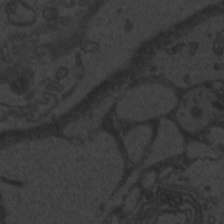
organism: Zebrafish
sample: Macrophage infected with Toxoplasma gondii